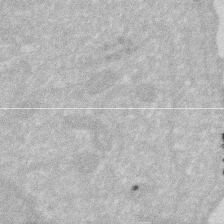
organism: Human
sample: HIV infected U937 cells